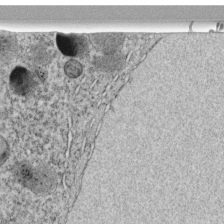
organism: C. elegans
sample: C. elegans embryo early stage